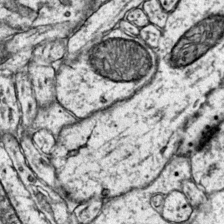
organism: Mouse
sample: Primary visual cortex